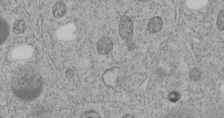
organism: C. elegans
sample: C. elegans embryo early stage